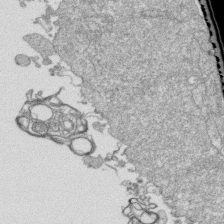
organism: Human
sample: HeLa cell HIV synapse